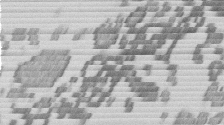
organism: Mouse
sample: Dividing mouse embryo 1 cell stage